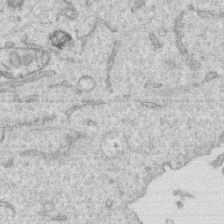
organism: Human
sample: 1205lu cells